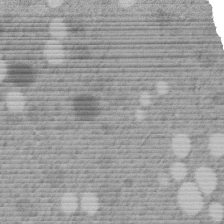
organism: C. elegans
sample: C. elegans embryo early stage